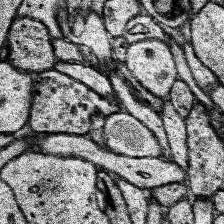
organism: Human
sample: Temporal Lobe